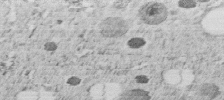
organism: C. elegans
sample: C. elegans embryo early stage